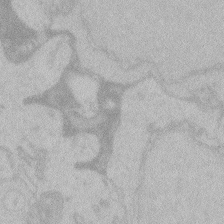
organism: Zebrafish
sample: Macrophage infected with Toxoplasma gondii